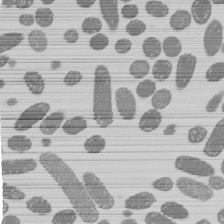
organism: E. coli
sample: Bacterial nucleoid